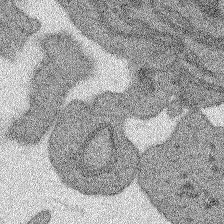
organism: Human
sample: HeLa cells